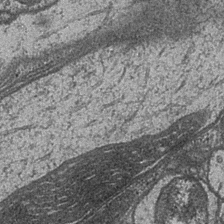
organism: Drosophila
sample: Optic medulla